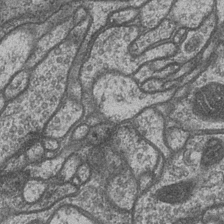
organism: Drosophila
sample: Optic medulla